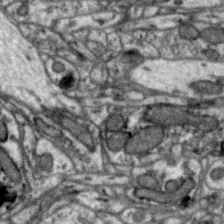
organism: Zebra finch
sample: Brain